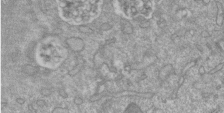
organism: Mouse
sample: ED-1 cell nuclei; centrioles